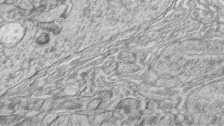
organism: Zebrafish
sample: synaptic ribbons in rod cells and cone cells